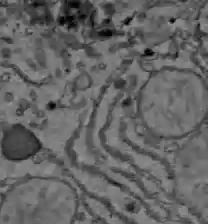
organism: C57BL Mouse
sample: Liver